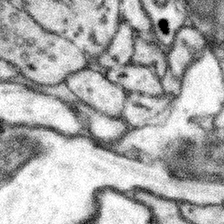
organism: Mouse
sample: Somatosensory cortex neuropil